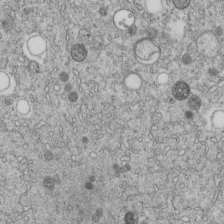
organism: C. elegans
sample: C. elegans embryo early stage